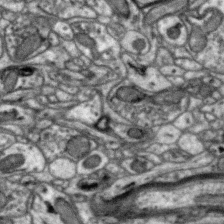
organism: Zebra finch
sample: Brain